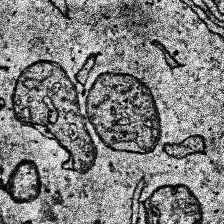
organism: Human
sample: Temporal Lobe